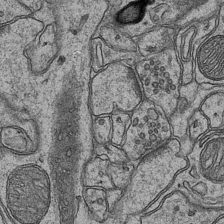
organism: Mouse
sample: CA1 Hippocampus